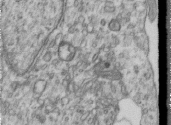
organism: Human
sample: Centriole in RPE cells